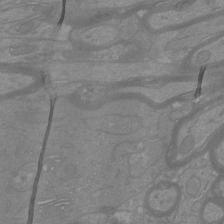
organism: Mouse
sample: Cortical neurons